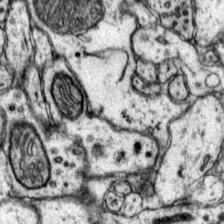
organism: Mouse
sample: Primary visual cortex